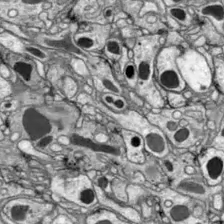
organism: Drosophila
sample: Optic lobe